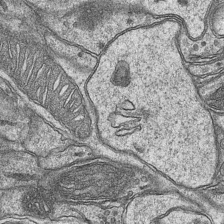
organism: Mouse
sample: CA1 Hippocampus